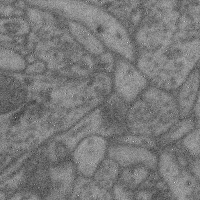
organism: Mouse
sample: Cerebral cortex